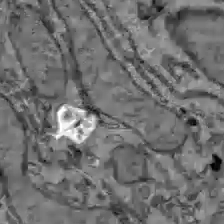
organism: C57BL Mouse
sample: Liver